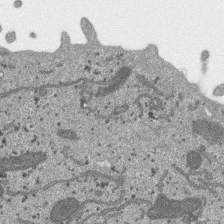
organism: Human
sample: Lung epithelial cells infected with SARS-CoV-2